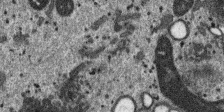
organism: Human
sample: Lung epithelial cells infected with SARS-CoV-2